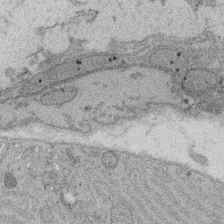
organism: Rat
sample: Salivary granule